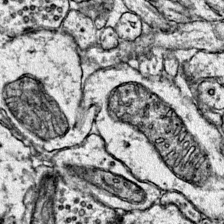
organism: Mouse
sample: Primary visual cortex